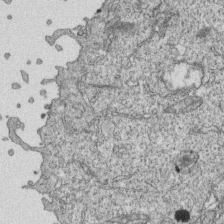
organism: Human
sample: HeLa cell HIV synapse